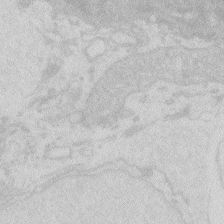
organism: Zebrafish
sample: Macrophage